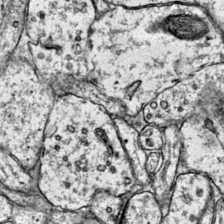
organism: Mouse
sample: Primary visual cortex